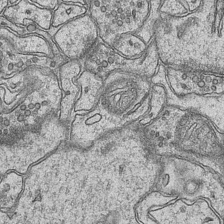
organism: Mouse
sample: CA1 Hippocampus